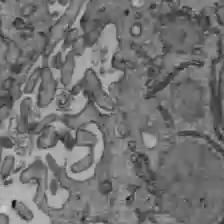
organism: C57BL Mouse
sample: Liver